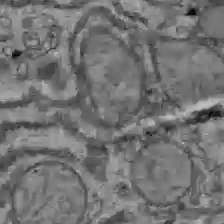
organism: C57BL Mouse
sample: Liver